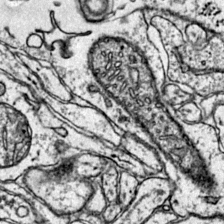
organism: Mouse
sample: Primary visual cortex